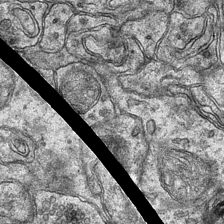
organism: Mouse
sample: CA1 Hippocampus